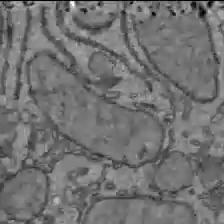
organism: C57BL Mouse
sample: Liver